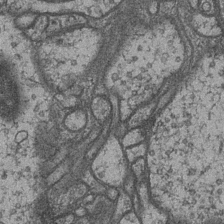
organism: Drosophila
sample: Optic medulla